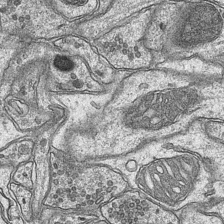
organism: Mouse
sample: CA1 Hippocampus